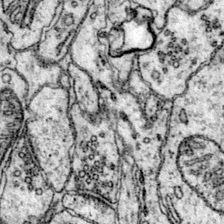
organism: Mouse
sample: Primary visual cortex